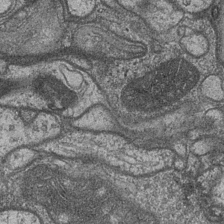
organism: Drosophila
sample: Optic medulla